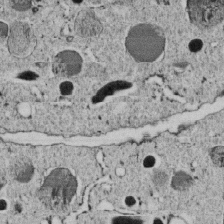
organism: C. elegans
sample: C. elegans embryo early stage